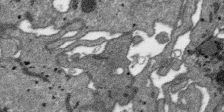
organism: Human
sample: Lung epithelial cells, uninfected (mock) control